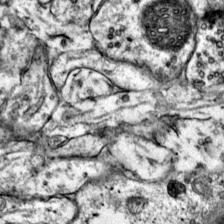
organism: Mouse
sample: Primary visual cortex